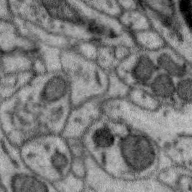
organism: Zebra finch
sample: Brain